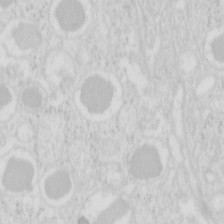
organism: Mouse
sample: Pancreas